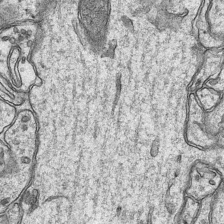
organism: Mouse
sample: CA1 Hippocampus